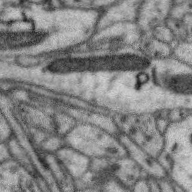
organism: Zebra finch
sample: Brain